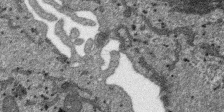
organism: Human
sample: Lung epithelial cells infected with SARS-CoV-2